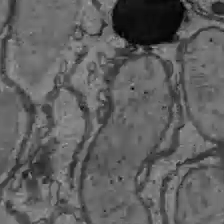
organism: C57BL Mouse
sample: Liver